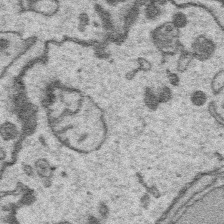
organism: Platynereis dumerilii